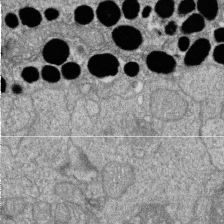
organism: Zebrafish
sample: Cilia; retinal pigment epithelium